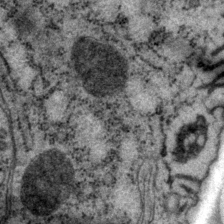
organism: P. pacificus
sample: Pharynx